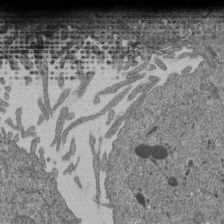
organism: Human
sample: Retinal organoid Rod and Cone cells